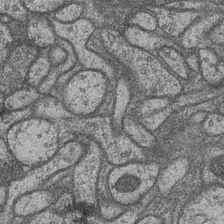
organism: Drosophila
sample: Optic medulla